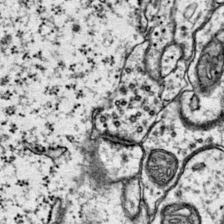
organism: Mouse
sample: Primary visual cortex